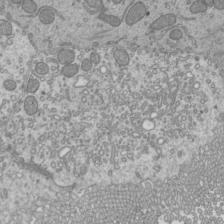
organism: Mouse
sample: Cilia; mouse epididymis